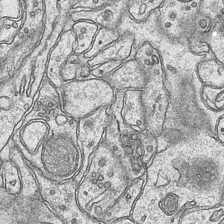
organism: Mouse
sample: CA1 Hippocampus